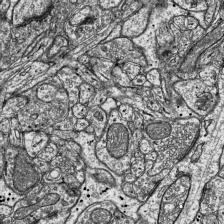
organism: Mouse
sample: Visual Cortex